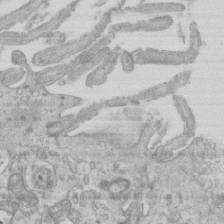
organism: Mouse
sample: Centriole in ependymal cells